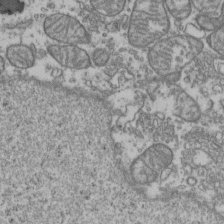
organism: Human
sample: Activated Jurkat CD4+ T cells